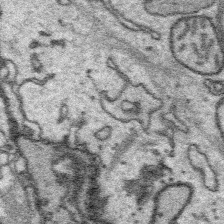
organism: Platynereis dumerilii